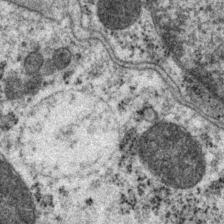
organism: P. pacificus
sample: Pharynx